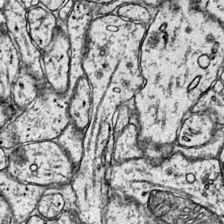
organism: Mouse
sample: Primary visual cortex